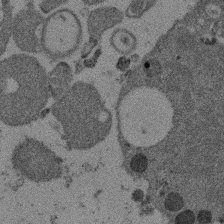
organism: Mouse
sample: Dividing mouse embryo 1 cell stage